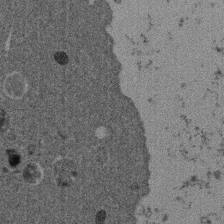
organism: Mouse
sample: Dividing mouse embryo 1 cell stage